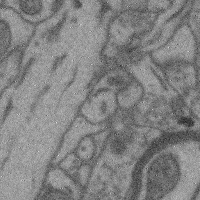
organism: Mouse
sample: Cerebral cortex